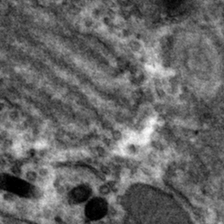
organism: Mouse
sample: Mouse hepatocytes